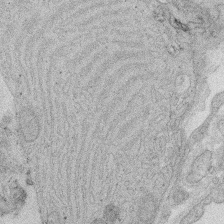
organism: Rat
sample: Salivary granule